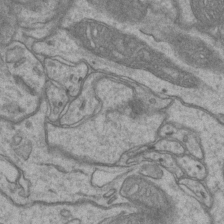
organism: Mouse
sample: CA1 Hippocampus